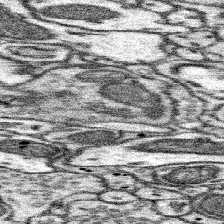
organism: Mouse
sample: Somatosensory cortex neuropil